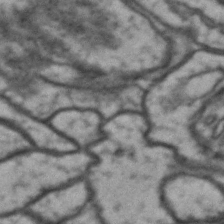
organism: Drosophila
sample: Brain